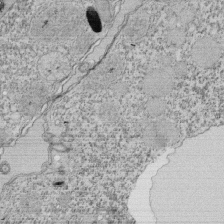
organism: Tetrahymena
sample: Cilia in tetrahymena